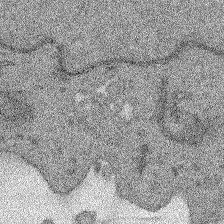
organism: Human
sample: HeLa cells